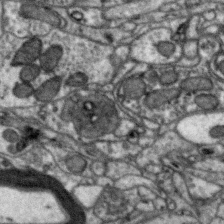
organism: Zebra finch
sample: Brain